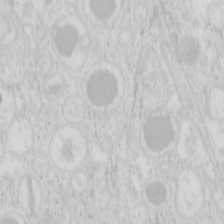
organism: Mouse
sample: Pancreas